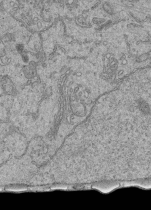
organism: Human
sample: Retinal organoid Rod and Cone cells